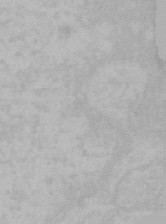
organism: Mouse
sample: Choroid plexus